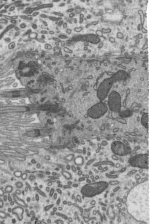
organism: Mouse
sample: Mouse epididymis efferent ductule cilia